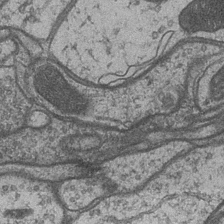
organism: Drosophila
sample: Optic medulla